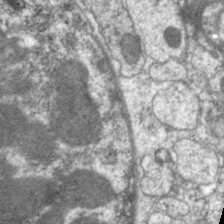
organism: C. elegans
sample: Pharynx